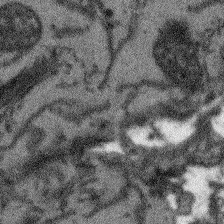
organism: Arabidopsis thaliana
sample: Root tip